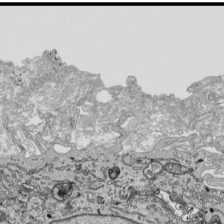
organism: Human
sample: Mitochondria in HCT116 cells